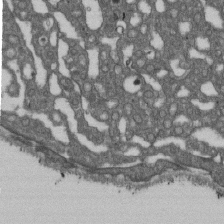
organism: Drosophila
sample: Nephrocyte